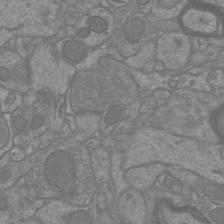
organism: Mouse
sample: Cortical neurons